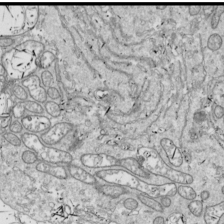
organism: Drosophila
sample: Cell division; meiosis; drosophila spermatocytes